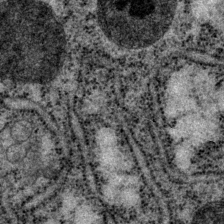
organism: P. pacificus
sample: Pharynx